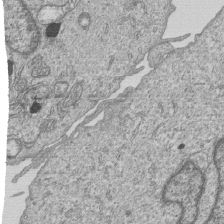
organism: Human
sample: MDA-MB-231 cells